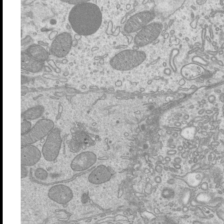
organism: Mouse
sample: Cilia; mouse epididymis